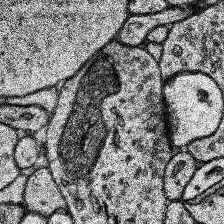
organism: Human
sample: Temporal Lobe